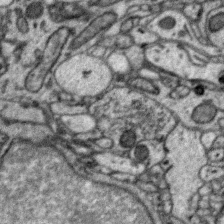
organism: Zebra finch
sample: Brain